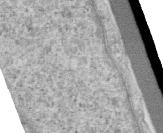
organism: Human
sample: Centriole in RPE cells